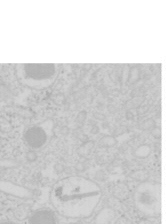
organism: Mouse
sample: Pancreas